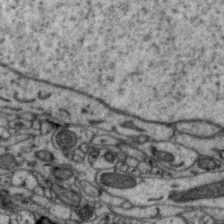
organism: Zebra finch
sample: Brain